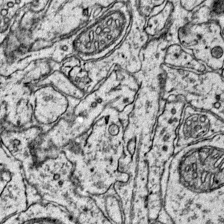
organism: Mouse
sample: Primary visual cortex